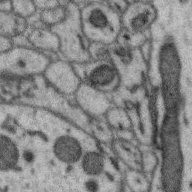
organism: Zebra finch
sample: Brain